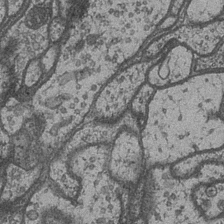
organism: Drosophila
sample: Optic medulla